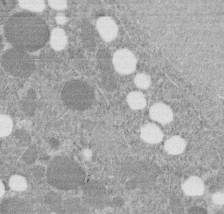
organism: C. elegans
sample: C. elegans embryo early stage